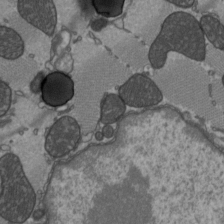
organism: C57BL Mouse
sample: Heart